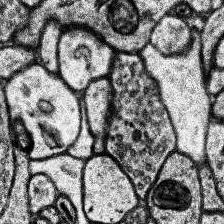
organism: Human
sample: Temporal Lobe